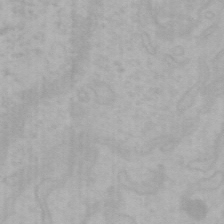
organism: Mouse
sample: Choroid plexus